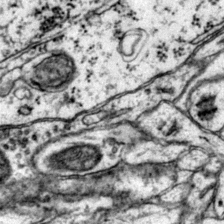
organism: Mouse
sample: Primary visual cortex